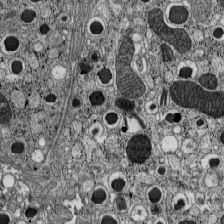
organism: C57BL Mouse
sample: Pancreatic islet